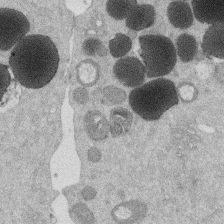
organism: Mouse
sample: Dividing mouse embryo 1 cell stage